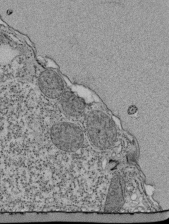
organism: Tetrahymena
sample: Cilia in tetrahymena